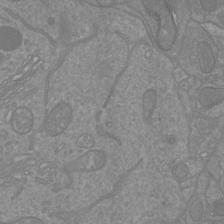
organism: Mouse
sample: Cortical neurons